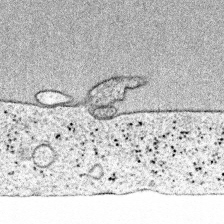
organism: Human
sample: HeLa cells